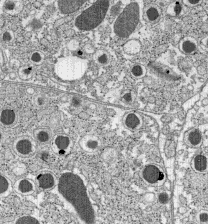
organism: C57BL Mouse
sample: Pancreatic islet